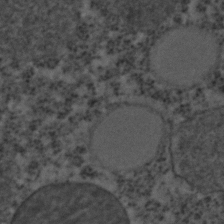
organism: C. elegans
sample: C. elegans embryo